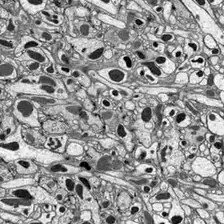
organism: Drosophila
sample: Optic lobe